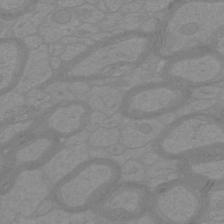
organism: Mouse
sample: Cortical neurons